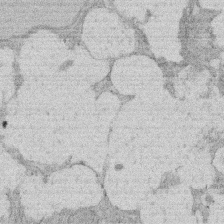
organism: Rat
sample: Salivary granule